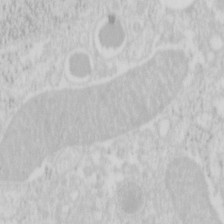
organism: Mouse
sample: Pancreas